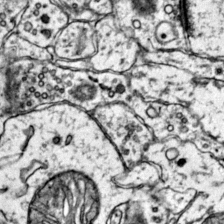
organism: Mouse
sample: Primary visual cortex